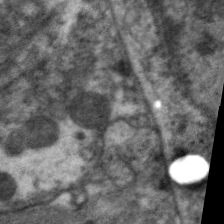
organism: C. elegans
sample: Pharynx